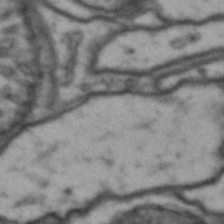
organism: Drosophila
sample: Brain